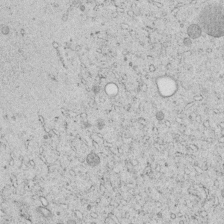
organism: C. elegans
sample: C. elegans embryo early stage